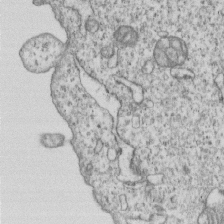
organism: Human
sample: MDA-MB-231 cells